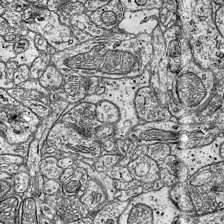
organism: Mouse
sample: Visual Cortex